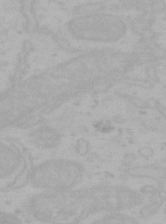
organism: Mouse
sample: Choroid plexus